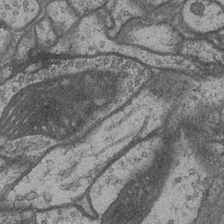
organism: Drosophila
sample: Optic medulla